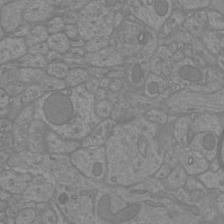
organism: Mouse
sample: Cortical neurons